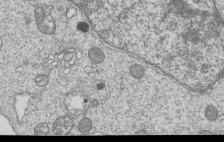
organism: Human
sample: MDA-MB-231 cells